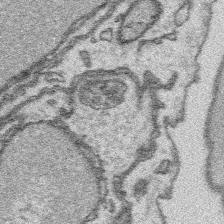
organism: Platynereis dumerilii